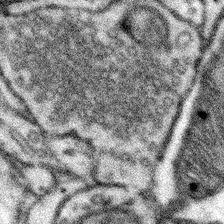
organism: Mouse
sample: Somatosensory cortex neuropil